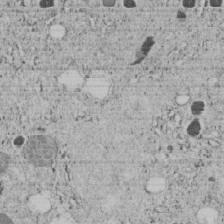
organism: C. elegans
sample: C. elegans embryo early stage